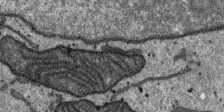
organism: Human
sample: Lung epithelial cells, uninfected (mock) control